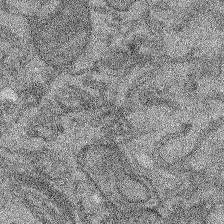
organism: Human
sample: HeLa cells